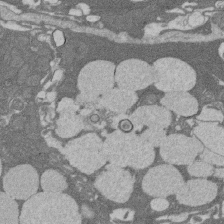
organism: Rat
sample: Salivary granule